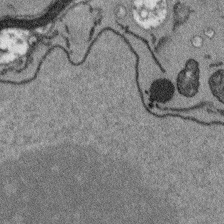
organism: Arabidopsis thaliana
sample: Root tip